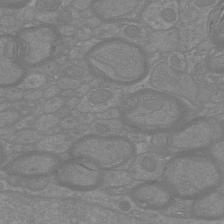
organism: Mouse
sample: Cortical neurons